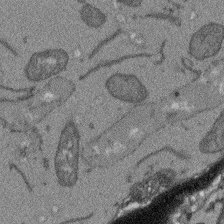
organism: Arabidopsis thaliana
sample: Root tip